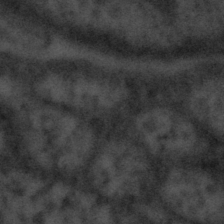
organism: Tuwongella immobilis